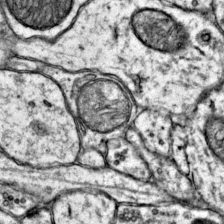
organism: Mouse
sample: Primary visual cortex